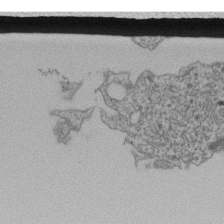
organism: Human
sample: Retinal organoid Rod and Cone cells